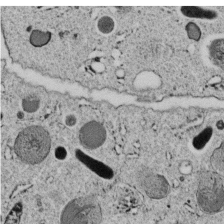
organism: C. elegans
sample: C. elegans embryo early stage